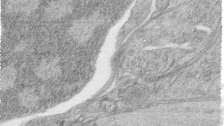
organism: Zebrafish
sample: synaptic ribbons in rod cells and cone cells